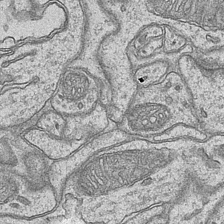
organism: Mouse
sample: CA1 Hippocampus